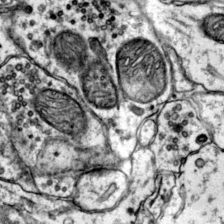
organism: Mouse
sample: Primary visual cortex